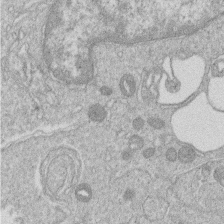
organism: Human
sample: Macrophage cells